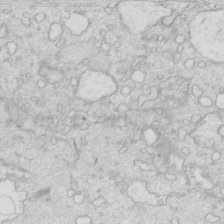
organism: Mouse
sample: Multiciliated cells